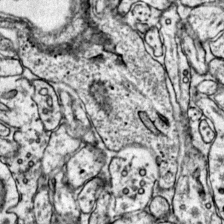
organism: Mouse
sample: Primary visual cortex